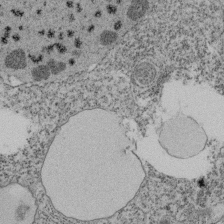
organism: Tetrahymena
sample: Cilia in tetrahymena